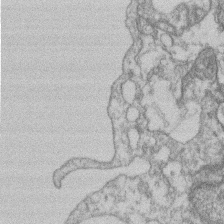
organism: Mouse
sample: T cell stromal cell synapse